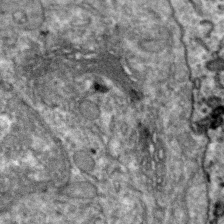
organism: Zebra finch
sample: Brain